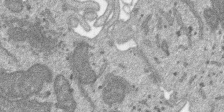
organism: Human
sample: Lung epithelial cells infected with SARS-CoV-2